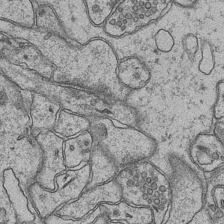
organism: Mouse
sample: CA1 Hippocampus